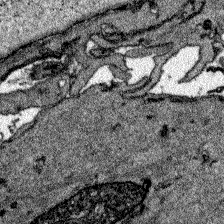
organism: Zebrafish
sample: Larval olfactory bulb